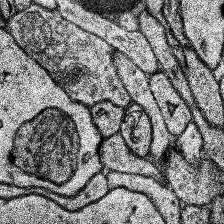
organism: Human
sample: Temporal Lobe